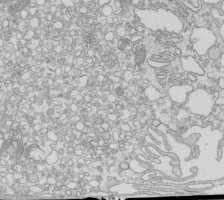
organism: Mouse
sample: Macrophages